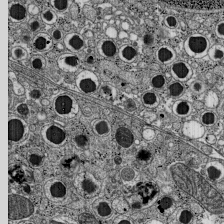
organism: C57BL Mouse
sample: Pancreatic islet